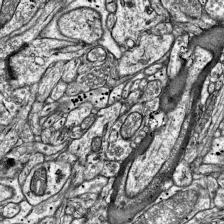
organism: Mouse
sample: Visual Cortex